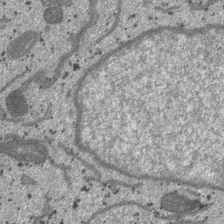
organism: Human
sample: Lung epithelial cells infected with SARS-CoV-2